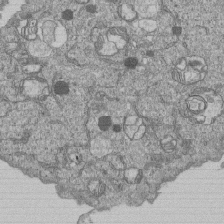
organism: Human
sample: MDA-MB-231 cells